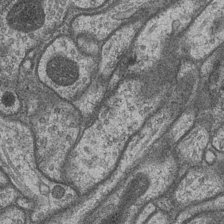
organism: Drosophila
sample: Optic medulla